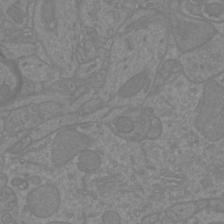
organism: Mouse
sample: Cortical neurons